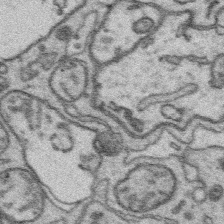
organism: Platynereis dumerilii